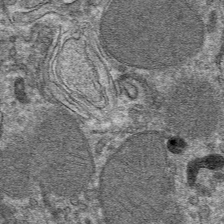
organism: Mouse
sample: Mouse hepatocytes